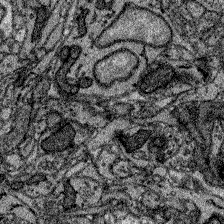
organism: Zebrafish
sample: Larval olfactory bulb